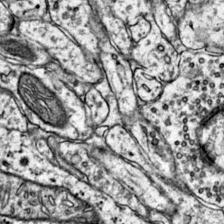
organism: Mouse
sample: Primary visual cortex